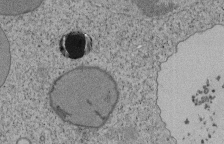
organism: Tetrahymena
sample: Cilia in tetrahymena